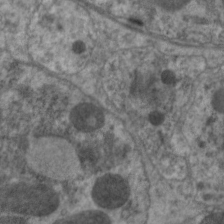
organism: C. elegans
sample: Pharynx